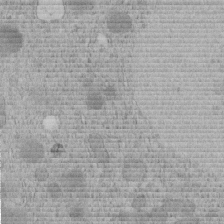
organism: C. elegans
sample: C. elegans embryo early stage